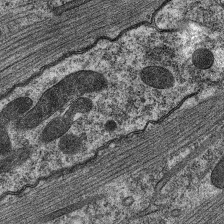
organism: C. elegans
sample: Pharynx